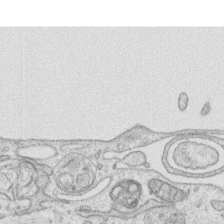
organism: Human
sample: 1205lu cells